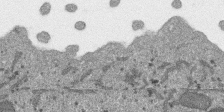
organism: Human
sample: Lung epithelial cells infected with SARS-CoV-2